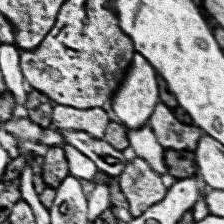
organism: Human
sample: Temporal Lobe